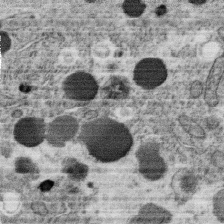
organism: C. elegans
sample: C. elegans oocyte; sperm cells